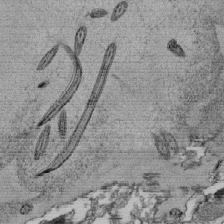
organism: Tetrahymena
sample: Cilia in tetrahymena